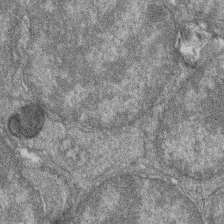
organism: Zebrafish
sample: Cilia; retinal pigment epithelium